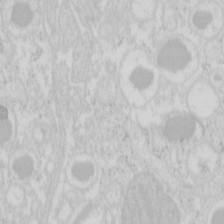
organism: Mouse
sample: Pancreas